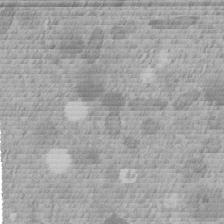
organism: C. elegans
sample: C. elegans embryo early stage